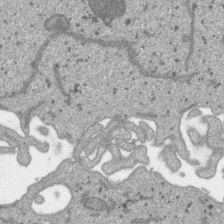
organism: Human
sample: Lung epithelial cells infected with SARS-CoV-2